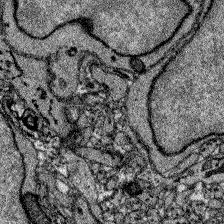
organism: Zebrafish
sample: Larval olfactory bulb